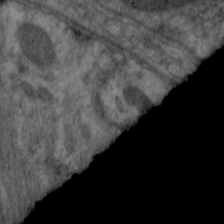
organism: C. elegans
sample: Pharynx